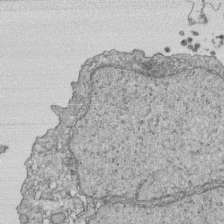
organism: Human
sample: HeLa cell HIV synapse